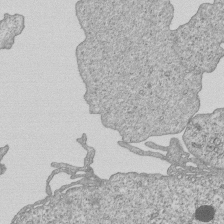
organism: Human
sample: MDA-MB-231 cells